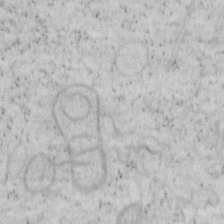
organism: Human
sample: HeLa cells